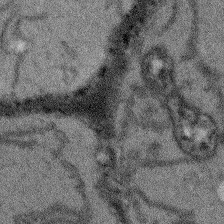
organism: Arabidopsis thaliana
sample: Root tip